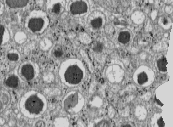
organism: C57BL Mouse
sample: Pancreatic islet